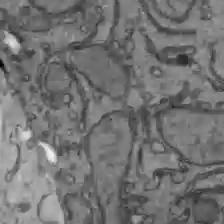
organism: C57BL Mouse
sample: Liver